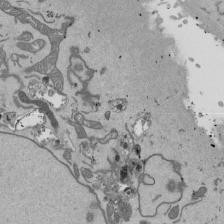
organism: Mouse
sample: ED-1 cell nuclei; centrioles